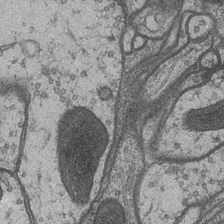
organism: Drosophila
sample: Optic medulla